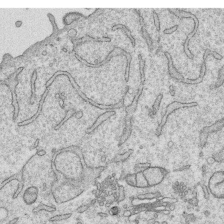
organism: Human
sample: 1205lu cells